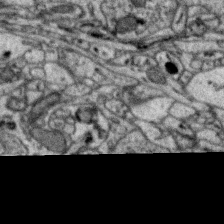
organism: Zebra finch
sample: Brain